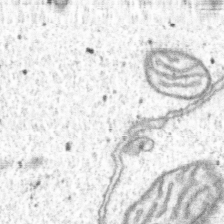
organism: Human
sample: HeLa cells